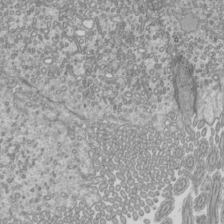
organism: Mouse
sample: Cilia; mouse epididymis